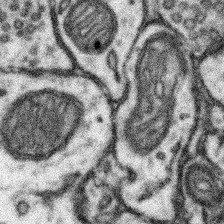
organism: Mouse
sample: Somatosensory cortex neuropil